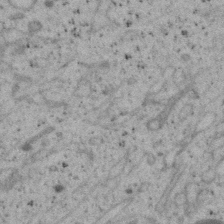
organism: Human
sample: HeLa cells